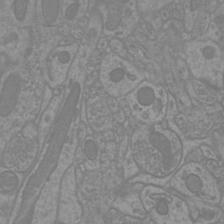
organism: Mouse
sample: Cortical neurons